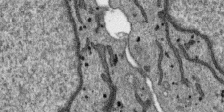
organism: Human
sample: Lung epithelial cells, uninfected (mock) control